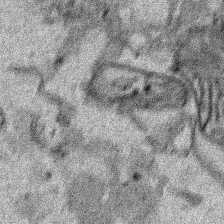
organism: Human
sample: Mitochondria in HCT116 cells